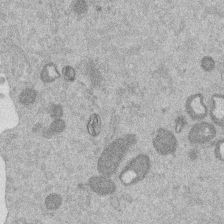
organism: Mouse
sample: Dividing mouse embryo 1 cell stage